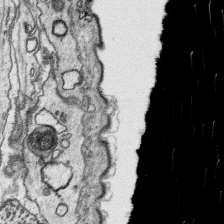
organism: Platynereis dumerilii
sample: Parapodia